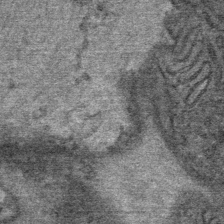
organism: Mouse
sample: Mouse Salivary gland